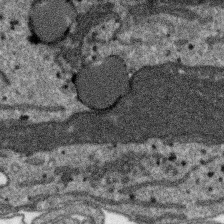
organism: Human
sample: Lung epithelial cells infected with SARS-CoV-2